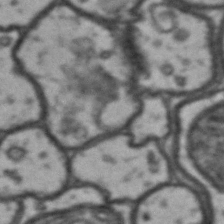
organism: Drosophila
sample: Brain